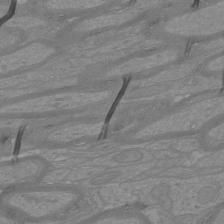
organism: Mouse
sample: Cortical neurons